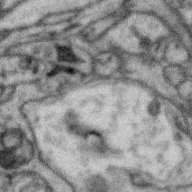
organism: Zebra finch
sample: Brain